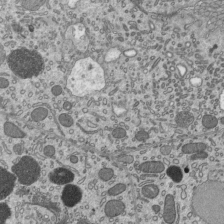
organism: Mouse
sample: Mouse epididymis efferent ductule cilia